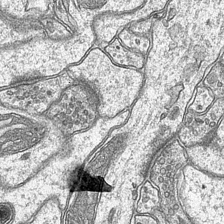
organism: Mouse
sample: CA1 Hippocampus